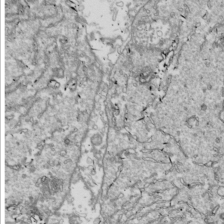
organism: Drosophila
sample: Cell division; meiosis; drosophila spermatocytes